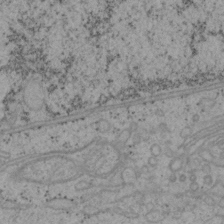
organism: Human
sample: HeLa cells